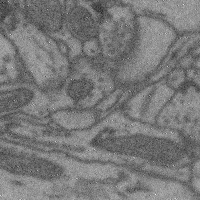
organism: Mouse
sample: Cerebral cortex